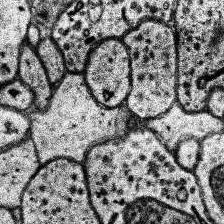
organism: Human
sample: Temporal Lobe